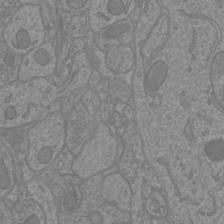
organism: Mouse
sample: Cortical neurons